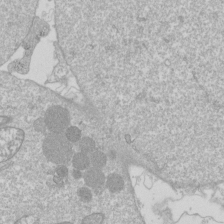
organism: Drosophila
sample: Cell division; meiosis; drosophila spermatocytes